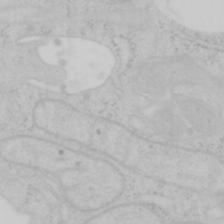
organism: Mouse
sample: OT-I killer T cells with ID8 ovarian cancer cells